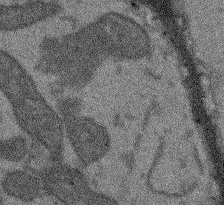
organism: Arabidopsis thaliana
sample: Root tip